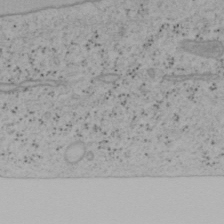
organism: Human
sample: HeLa cells